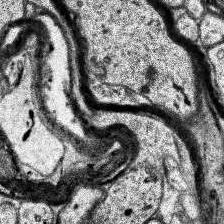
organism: Human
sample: Temporal Lobe